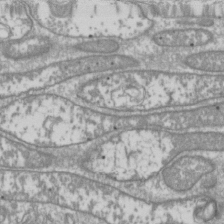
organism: Drosophila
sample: Cell division; meiosis; drosophila spermatocytes